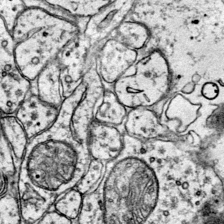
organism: Mouse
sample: Primary visual cortex